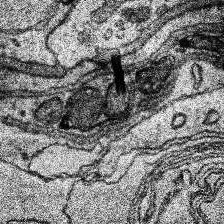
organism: Human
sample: Temporal Lobe